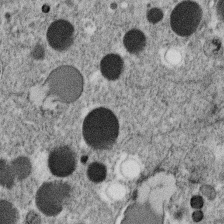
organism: C. elegans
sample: C. elegans oocyte; sperm cells